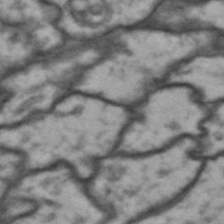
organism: Drosophila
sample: Brain